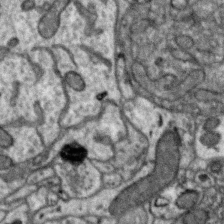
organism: Zebra finch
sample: Brain